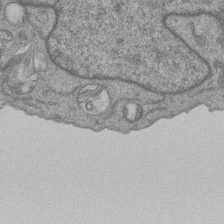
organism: Human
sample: MDA-MB-231 cells